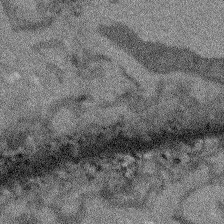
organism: Arabidopsis thaliana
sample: Root tip